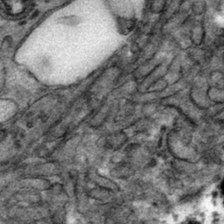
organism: Mouse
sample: Mouse hepatocytes